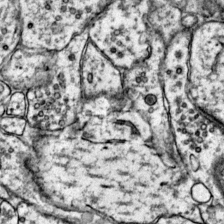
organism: Mouse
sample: Primary visual cortex